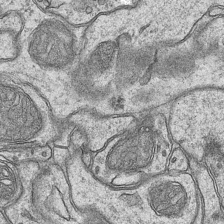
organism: Mouse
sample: CA1 Hippocampus